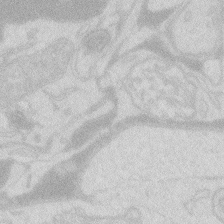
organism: Zebrafish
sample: Macrophage